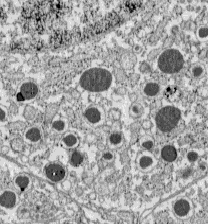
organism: C57BL Mouse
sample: Pancreatic islet